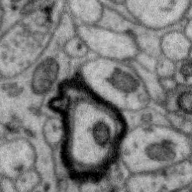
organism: Zebra finch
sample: Brain